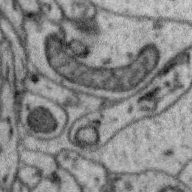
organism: Zebra finch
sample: Brain